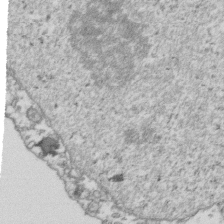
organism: Human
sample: Activated Jurkat CD4+ T cells